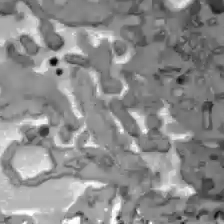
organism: C57BL Mouse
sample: Liver